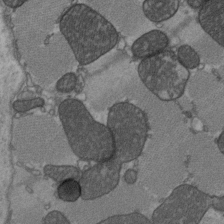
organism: C57BL Mouse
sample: Heart